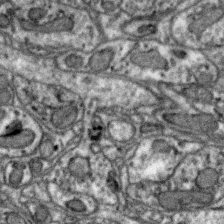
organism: Zebra finch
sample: Brain